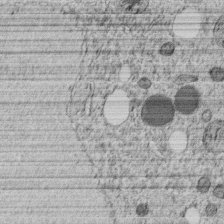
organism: C. elegans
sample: C. elegans embryo early stage